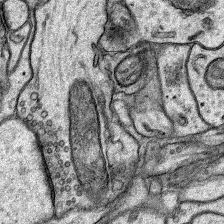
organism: Rat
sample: Hippocampus